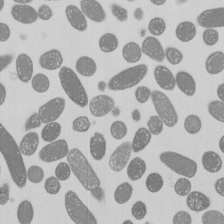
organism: E. coli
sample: Bacterial nucleoid